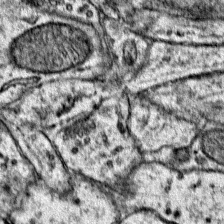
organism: Mouse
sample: Primary visual cortex